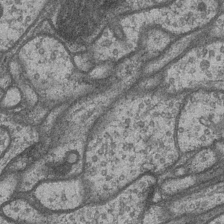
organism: Drosophila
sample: Optic medulla